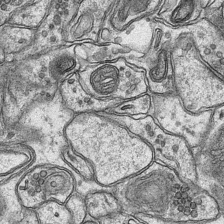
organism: Mouse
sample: CA1 Hippocampus